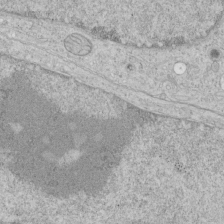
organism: Human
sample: Mitochondria in HCT116 cells